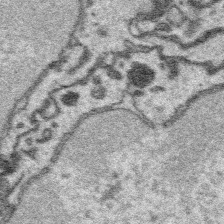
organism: Platynereis dumerilii